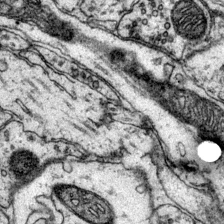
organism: Mouse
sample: Primary visual cortex